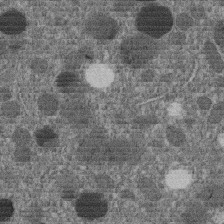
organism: C. elegans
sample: C. elegans embryo early stage